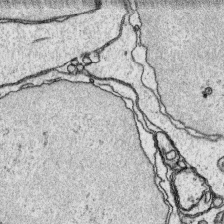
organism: Platynereis dumerilii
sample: Parapodia